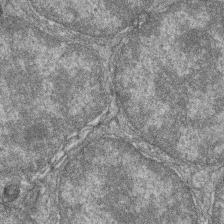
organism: Zebrafish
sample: Cilia; retinal pigment epithelium